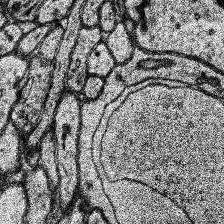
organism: Human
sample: Temporal Lobe